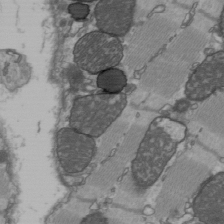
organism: C57BL Mouse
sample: Heart